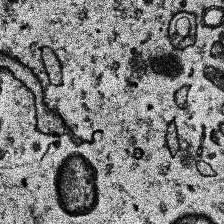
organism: Human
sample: Temporal Lobe